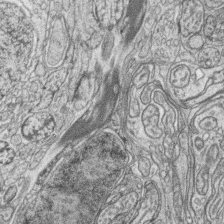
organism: Zebrafish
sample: synaptic ribbons in rod cells and cone cells